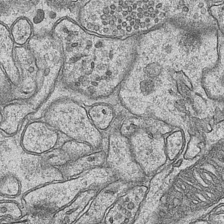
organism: Mouse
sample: CA1 Hippocampus